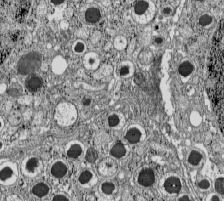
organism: C57BL Mouse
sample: Pancreatic islet